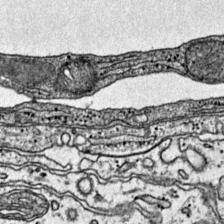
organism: Mouse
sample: Primary visual cortex